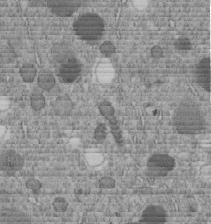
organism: C. elegans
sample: C. elegans embryo early stage